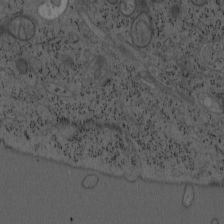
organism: Mouse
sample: OT-I killer T cells with ID8 ovarian cancer cells